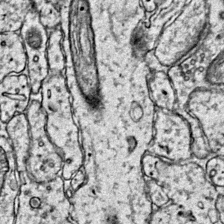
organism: Mouse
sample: Primary visual cortex